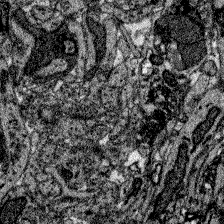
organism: Zebrafish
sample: Larval olfactory bulb